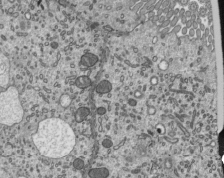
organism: Mouse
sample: Mouse epididymis efferent ductule cilia